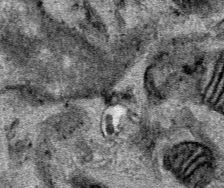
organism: Human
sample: Mitochondria in HCT116 cells